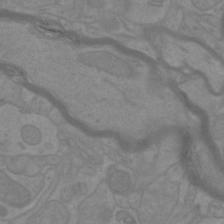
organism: Mouse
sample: Cortical neurons